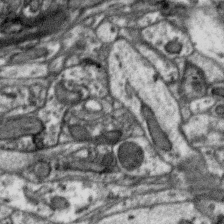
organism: Zebra finch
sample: Brain